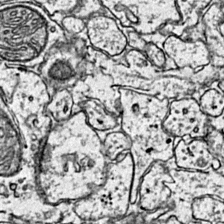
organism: Mouse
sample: Primary visual cortex